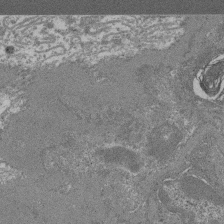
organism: Mouse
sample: Glomerulus